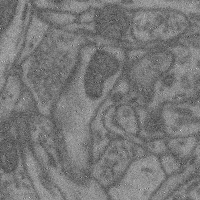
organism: Mouse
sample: Cerebral cortex